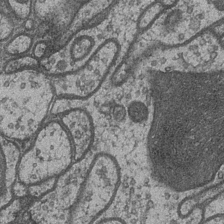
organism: Drosophila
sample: Optic medulla